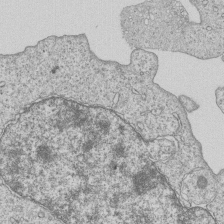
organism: Human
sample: MDA-MB-231 cells